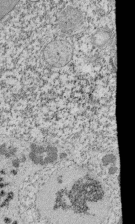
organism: Tetrahymena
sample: Cilia in tetrahymena